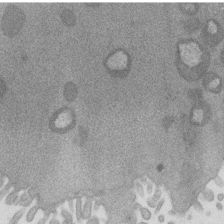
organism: Mouse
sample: Dividing mouse embryo 1 cell stage